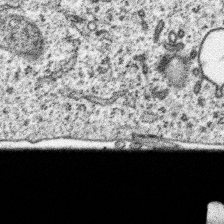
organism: Human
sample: HeLa cells